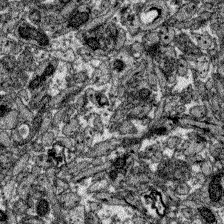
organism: Zebrafish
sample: Larval olfactory bulb